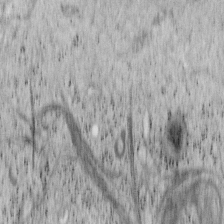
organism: Human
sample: HeLa cells